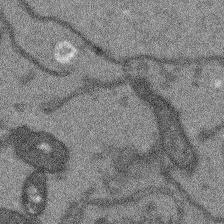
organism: Arabidopsis thaliana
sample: Root tip